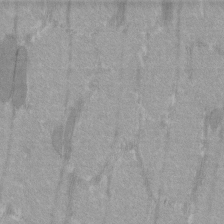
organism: C57BL Mouse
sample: Tibialis anterior muscle cell